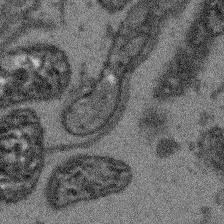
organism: Arabidopsis thaliana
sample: Root tip